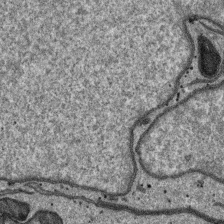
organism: Human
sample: Lung epithelial cells, uninfected (mock) control